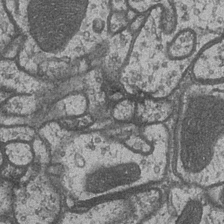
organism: Drosophila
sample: Optic medulla